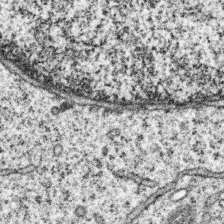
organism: Human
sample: HeLa cells